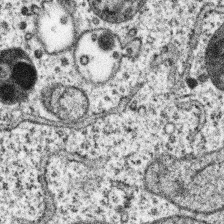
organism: Human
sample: HeLa cells